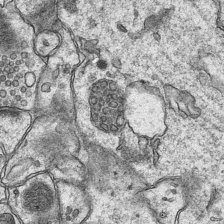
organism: Mouse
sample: CA1 Hippocampus